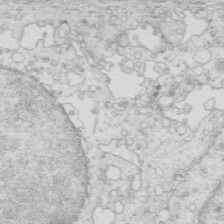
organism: Mouse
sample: Multiciliated cells